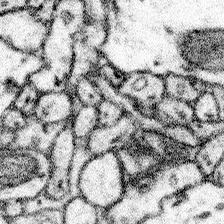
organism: Mouse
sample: Somatosensory cortex neuropil